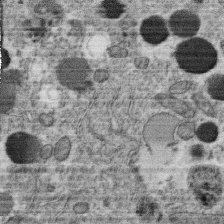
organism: C. elegans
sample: C. elegans oocyte; sperm cells